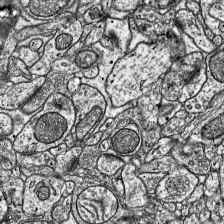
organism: Mouse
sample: Visual Cortex